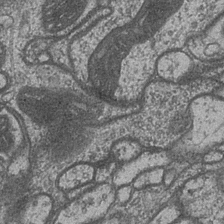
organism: Drosophila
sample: Optic medulla